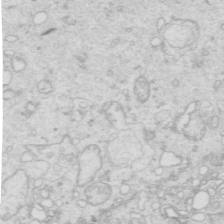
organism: Mouse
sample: Multiciliated cells